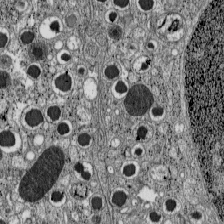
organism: C57BL Mouse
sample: Pancreatic islet